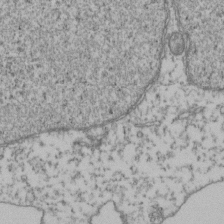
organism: Human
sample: Activated Jurkat CD4+ T cells